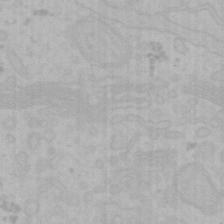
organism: Mouse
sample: Choroid plexus